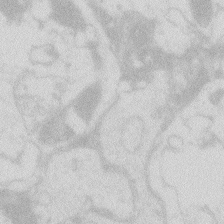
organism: Zebrafish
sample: Macrophage